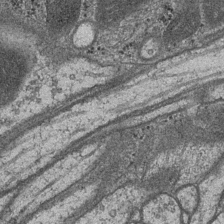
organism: Drosophila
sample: Optic medulla